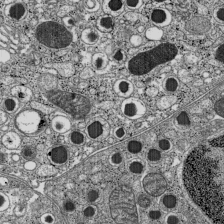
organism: C57BL Mouse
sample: Pancreatic islet